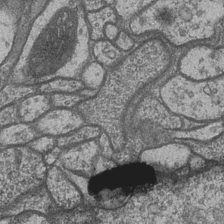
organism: Drosophila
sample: Optic medulla